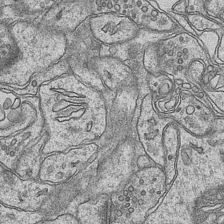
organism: Mouse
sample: CA1 Hippocampus